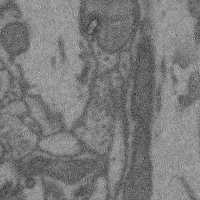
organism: Mouse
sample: Cerebral cortex